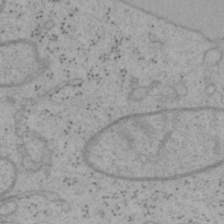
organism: Human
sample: HeLa cells